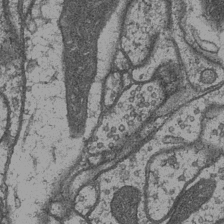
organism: Drosophila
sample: Optic medulla